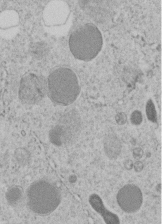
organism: C. elegans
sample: C. elegans embryo early stage